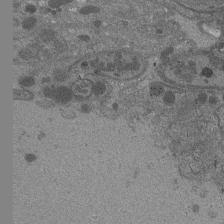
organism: Drosophila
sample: Antenna